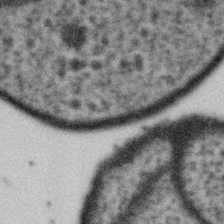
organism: Gemmata obscuriglobus